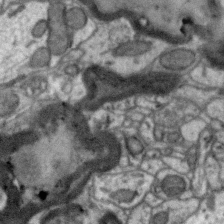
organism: Zebra finch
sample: Brain